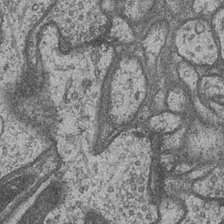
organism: Drosophila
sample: Optic medulla